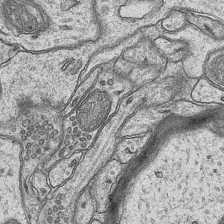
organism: Mouse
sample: CA1 Hippocampus